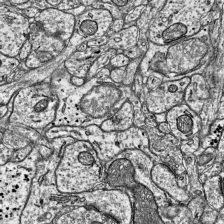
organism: Mouse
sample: Visual Cortex